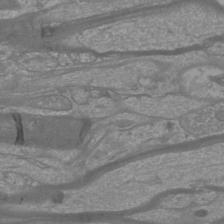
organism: Mouse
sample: Cortical neurons